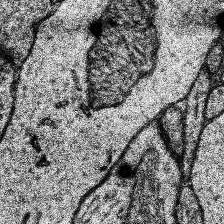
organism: Human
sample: Temporal Lobe